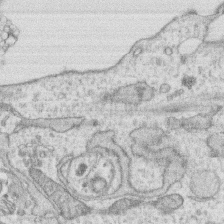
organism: Human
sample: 1205lu cells